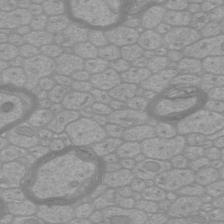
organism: Mouse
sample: Cortical neurons